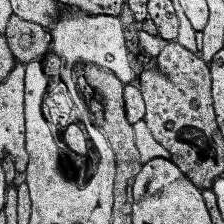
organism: Human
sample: Temporal Lobe